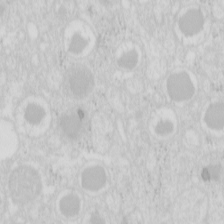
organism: Mouse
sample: Pancreas